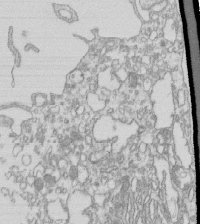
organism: Mouse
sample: Macrophages